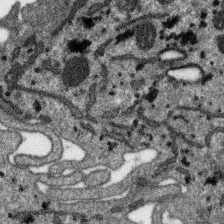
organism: Human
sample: Lung epithelial cells infected with SARS-CoV-2